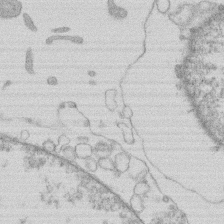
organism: Human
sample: Macrophage cells